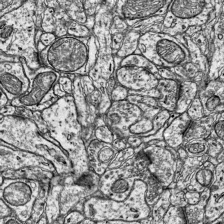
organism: Mouse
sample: Visual Cortex